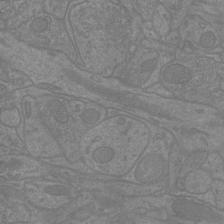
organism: Mouse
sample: Cortical neurons